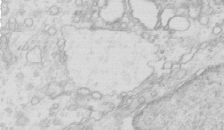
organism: Mouse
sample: Multiciliated cells